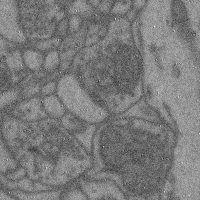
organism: Mouse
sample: Cerebral cortex